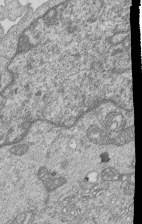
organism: Human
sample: MDA-MB-231 cells